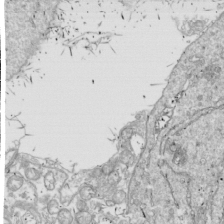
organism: Drosophila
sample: Cell division; meiosis; drosophila spermatocytes